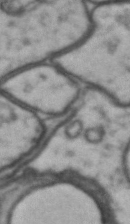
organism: Drosophila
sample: Brain